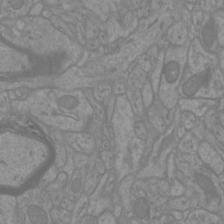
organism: Mouse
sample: Cortical neurons